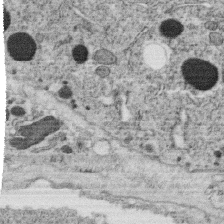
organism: C. elegans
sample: C. elegans oocyte; sperm cells